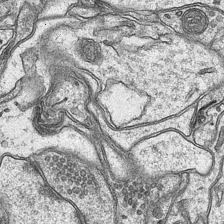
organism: Mouse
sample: CA1 Hippocampus